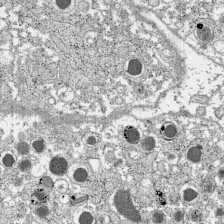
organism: C57BL Mouse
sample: Pancreatic islet